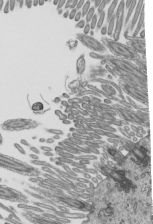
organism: Mouse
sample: Mouse epididymis efferent ductule cilia